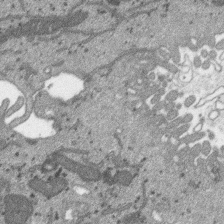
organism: Human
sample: Lung epithelial cells infected with SARS-CoV-2